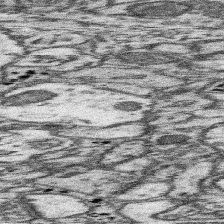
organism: Mouse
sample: Somatosensory cortex neuropil